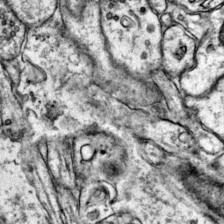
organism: Mouse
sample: Primary visual cortex